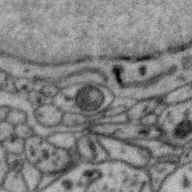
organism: Zebra finch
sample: Brain